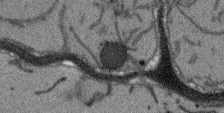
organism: Arabidopsis thaliana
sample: Root tip